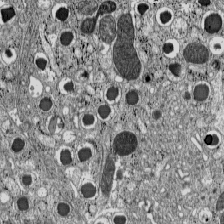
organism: C57BL Mouse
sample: Pancreatic islet